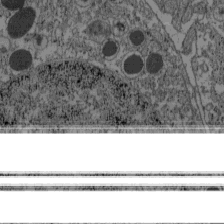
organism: C57BL Mouse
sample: Pancreatic islet